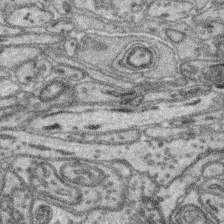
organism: Mouse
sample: Retina